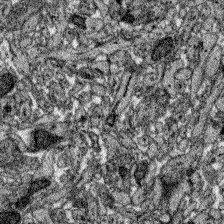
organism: Zebrafish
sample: Larval olfactory bulb